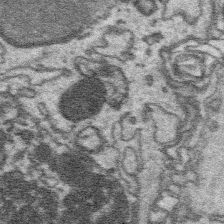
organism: Platynereis dumerilii